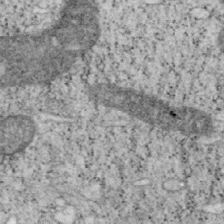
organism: Mouse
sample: OT-I killer T cells with ID8 ovarian cancer cells